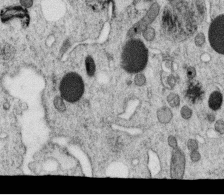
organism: C. elegans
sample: C. elegans oocyte; sperm cells